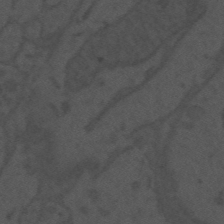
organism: Mouse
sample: Suprachiasmatic nucleus